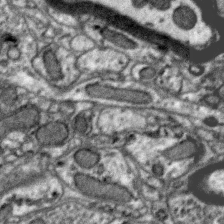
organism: Zebra finch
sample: Brain